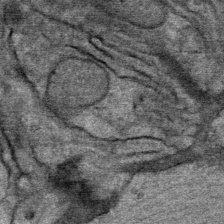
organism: Mouse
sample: Mouse Salivary gland